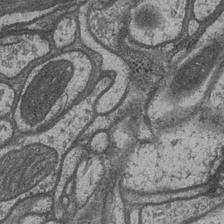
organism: Drosophila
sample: Optic medulla